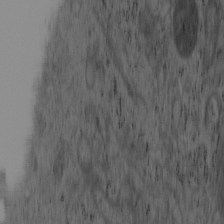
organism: Human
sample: HeLa cells